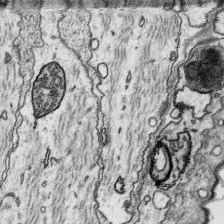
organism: Platynereis dumerilii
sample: Parapodia